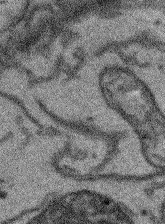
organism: Arabidopsis thaliana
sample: Root tip